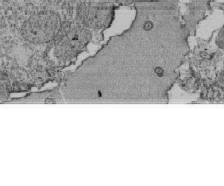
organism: Tetrahymena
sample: Cilia in tetrahymena